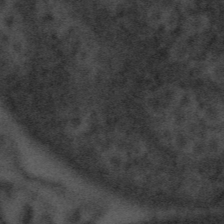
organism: Tuwongella immobilis